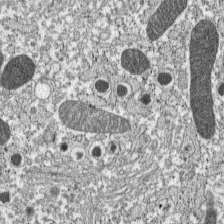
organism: C57BL Mouse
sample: Pancreatic islet